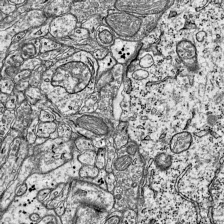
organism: Mouse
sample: Visual Cortex